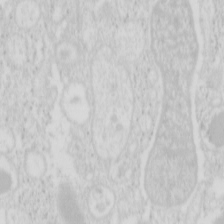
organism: Mouse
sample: Pancreas